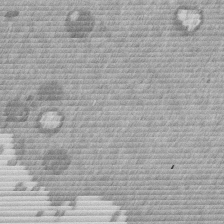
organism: Mouse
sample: Dividing mouse embryo 1 cell stage